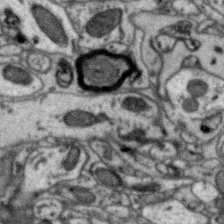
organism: Zebra finch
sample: Brain